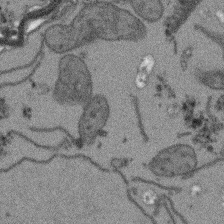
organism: Arabidopsis thaliana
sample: Root tip